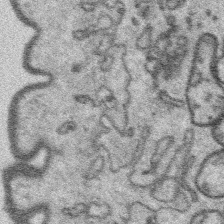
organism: Platynereis dumerilii